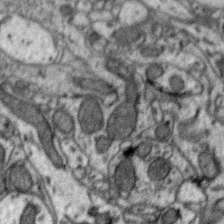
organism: Zebra finch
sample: Brain